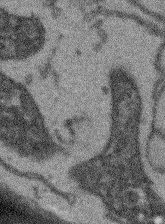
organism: Arabidopsis thaliana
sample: Root tip